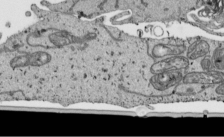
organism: Human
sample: Mitochondria in HCT116 cells